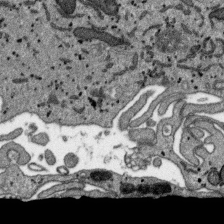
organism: Human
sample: Lung epithelial cells, uninfected (mock) control